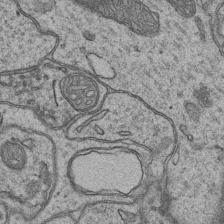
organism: Mouse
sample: CA1 Hippocampus